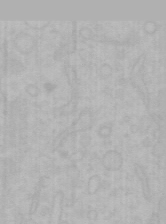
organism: Mouse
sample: Choroid plexus